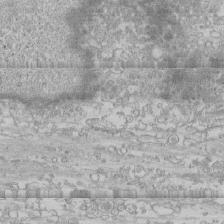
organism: Human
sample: CRL-1474